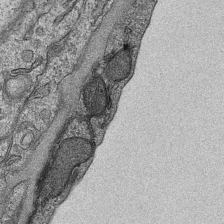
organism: Mouse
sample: CA1 Hippocampus